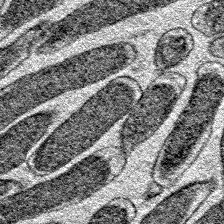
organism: E. coli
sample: E. Coli Bacteria